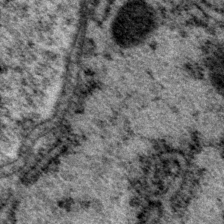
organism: P. pacificus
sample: Pharynx